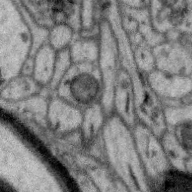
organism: Zebra finch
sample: Brain